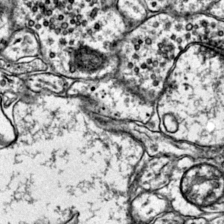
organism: Mouse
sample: Primary visual cortex